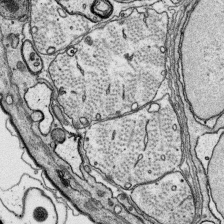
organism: Platynereis dumerilii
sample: Parapodia